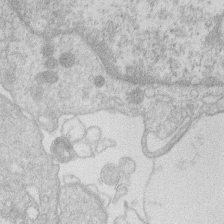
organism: Human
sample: Macrophage cells